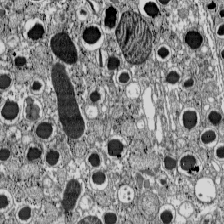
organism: C57BL Mouse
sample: Pancreatic islet